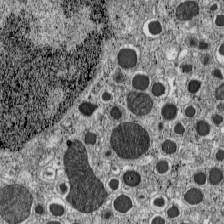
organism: C57BL Mouse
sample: Pancreatic islet